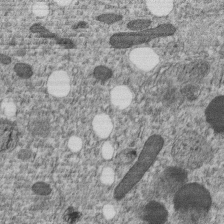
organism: C. elegans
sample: C. elegans embryo early stage